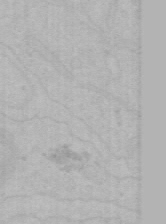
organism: Mouse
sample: Choroid plexus